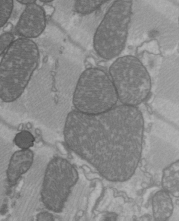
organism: C57BL Mouse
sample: Heart